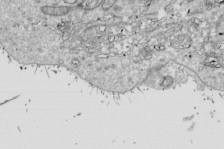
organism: Drosophila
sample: Cell division; meiosis; drosophila spermatocytes